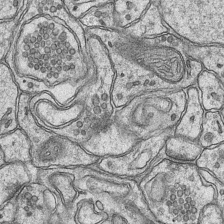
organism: Mouse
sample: CA1 Hippocampus